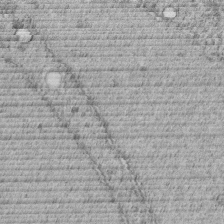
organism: C. elegans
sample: C. elegans embryo early stage